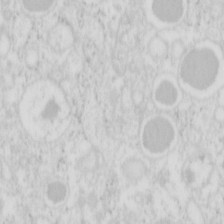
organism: Mouse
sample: Pancreas